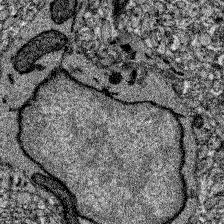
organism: Zebrafish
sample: Larval olfactory bulb